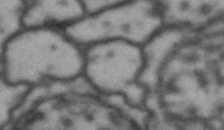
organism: Drosophila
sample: Brain